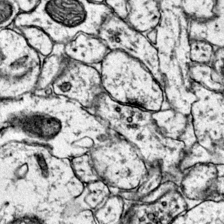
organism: Mouse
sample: Primary visual cortex